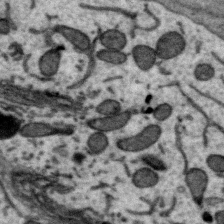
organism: Zebra finch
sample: Brain